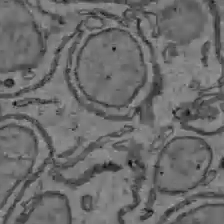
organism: C57BL Mouse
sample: Liver